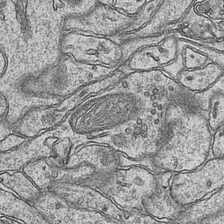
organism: Mouse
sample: CA1 Hippocampus